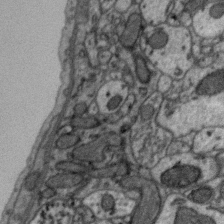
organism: Zebra finch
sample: Brain